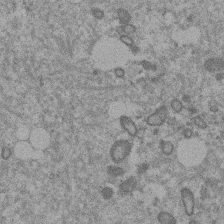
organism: Mouse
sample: Dividing mouse embryo 1 cell stage